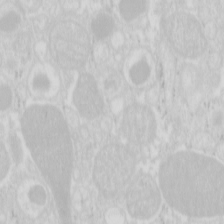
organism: Mouse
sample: Pancreas